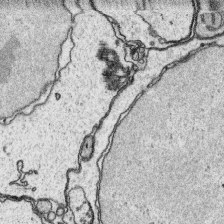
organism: Platynereis dumerilii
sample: Parapodia